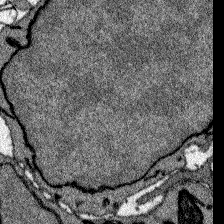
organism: Zebrafish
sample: Larval olfactory bulb